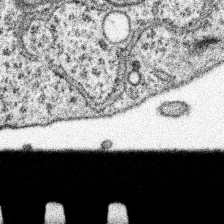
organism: Human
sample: HeLa cells